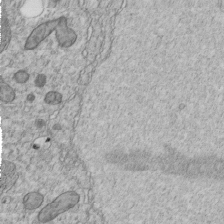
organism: C. elegans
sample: C. elegans embryo early stage